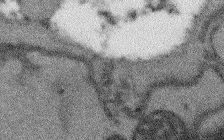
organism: Arabidopsis thaliana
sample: Root tip